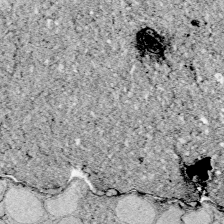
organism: Zebrafish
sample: Whole-Brain